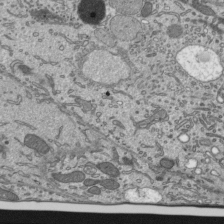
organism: Mouse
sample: Mouse epididymis efferent ductule cilia